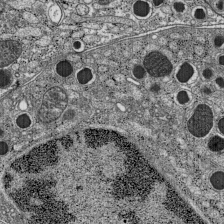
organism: C57BL Mouse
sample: Pancreatic islet